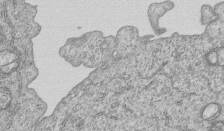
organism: Human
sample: MDA-MB-231 cells